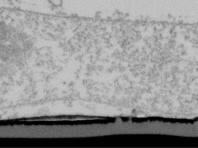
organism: Human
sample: U2-OS cells